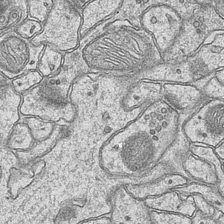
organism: Mouse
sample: CA1 Hippocampus